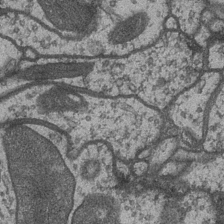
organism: Drosophila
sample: Optic medulla